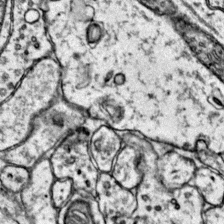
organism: Mouse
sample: Primary visual cortex